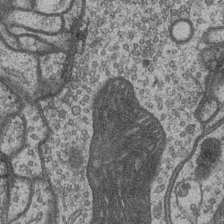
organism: Drosophila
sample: Optic medulla